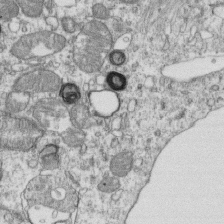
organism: Mouse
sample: Activated OT-1 CD8+ T cells